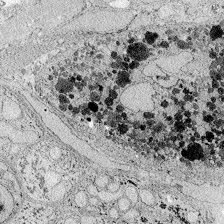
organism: Zebrafish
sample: Whole-Brain